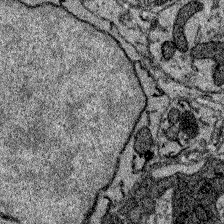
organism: Zebrafish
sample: Larval olfactory bulb